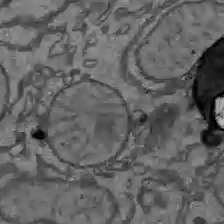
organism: C57BL Mouse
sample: Liver